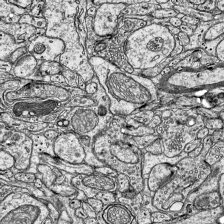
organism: Mouse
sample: Visual Cortex